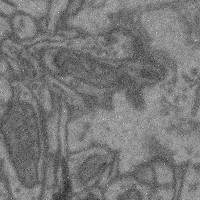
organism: Mouse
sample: Cerebral cortex